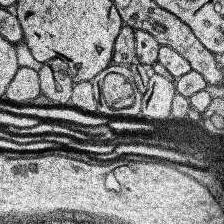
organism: Human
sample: Temporal Lobe